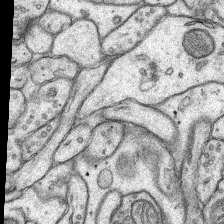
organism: Rat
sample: Hippocampus